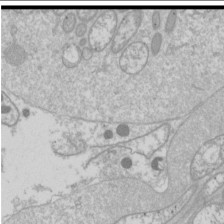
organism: Drosophila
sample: Cell division; meiosis; drosophila spermatocytes